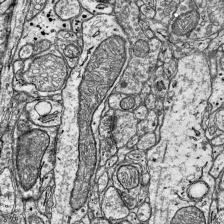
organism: Mouse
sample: Visual Cortex